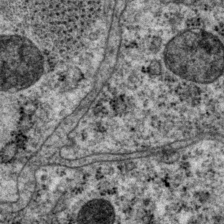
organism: P. pacificus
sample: Pharynx